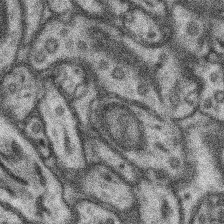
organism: Mouse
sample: Somatosensory cortex neuropil